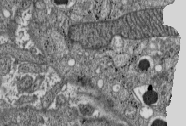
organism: C57BL Mouse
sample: Pancreatic islet